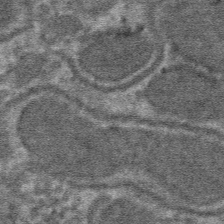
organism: Mouse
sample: Mouse hepatocytes